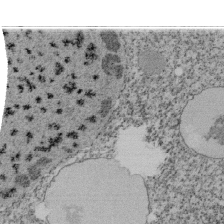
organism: Tetrahymena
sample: Cilia in tetrahymena